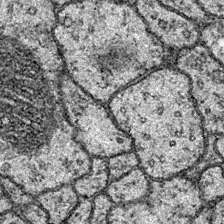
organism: Drosophila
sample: Ventral Nerve Cord